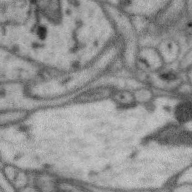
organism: Zebra finch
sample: Brain